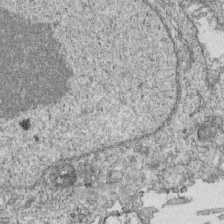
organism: Human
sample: HeLa cell HIV synapse